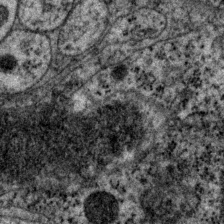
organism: P. pacificus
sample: Pharynx